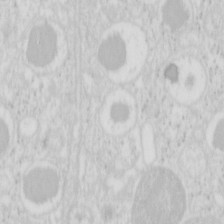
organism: Mouse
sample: Pancreas